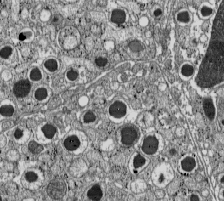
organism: C57BL Mouse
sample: Pancreatic islet